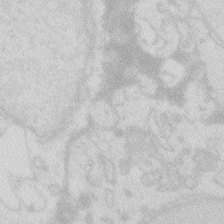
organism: Zebrafish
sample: Macrophage